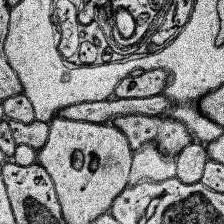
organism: Human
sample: Temporal Lobe